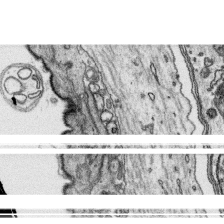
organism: Platynereis dumerilii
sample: Parapodia